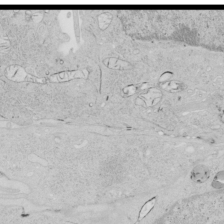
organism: Human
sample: Mitochondria in HCT116 cells